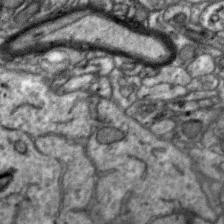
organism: Zebra finch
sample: Brain